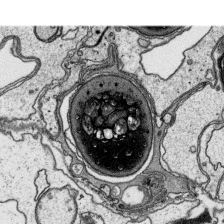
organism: Platynereis dumerilii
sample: Parapodia